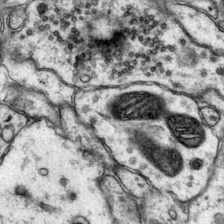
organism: Mouse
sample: Primary visual cortex